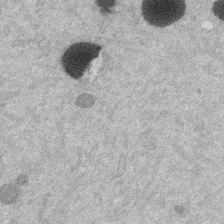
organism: Mouse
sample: Dividing mouse embryo 1 cell stage